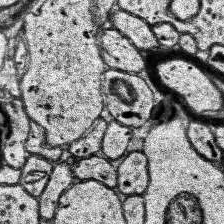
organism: Human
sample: Temporal Lobe